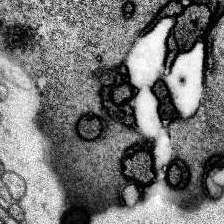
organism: Human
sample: Temporal Lobe